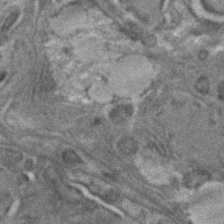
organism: C. elegans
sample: C. elegans embryo